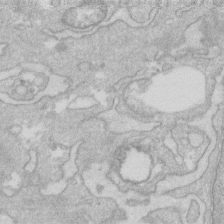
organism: Human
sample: Fibroblast cells